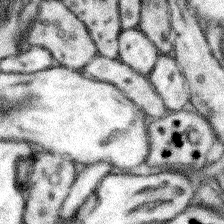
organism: Mouse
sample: Somatosensory cortex neuropil